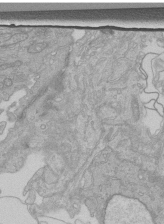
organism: Human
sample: Retinal organoid Rod and Cone cells